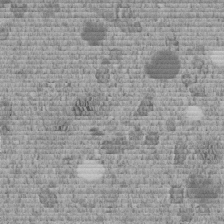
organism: C. elegans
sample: C. elegans embryo early stage